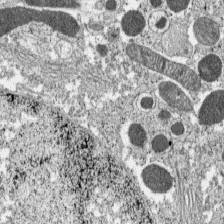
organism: C57BL Mouse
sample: Pancreatic islet